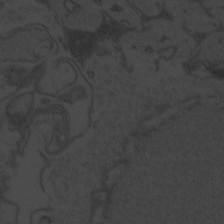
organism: Zebrafish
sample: Macrophage infected with Toxoplasma gondii